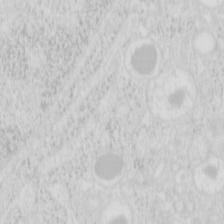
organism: Mouse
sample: Pancreas